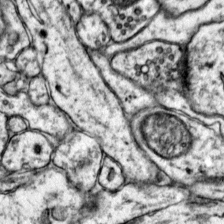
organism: Mouse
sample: Primary visual cortex